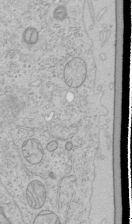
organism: Human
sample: Mitochondria in HCT116 cells